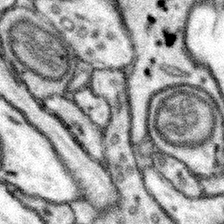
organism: Mouse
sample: Somatosensory cortex neuropil